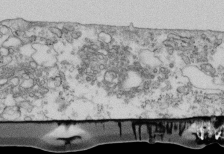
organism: Mouse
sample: Cilia; retinal pigment epithelium